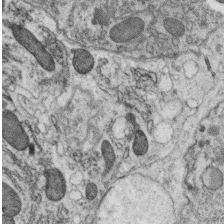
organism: C. elegans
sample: C. elegans oocyte; sperm cells